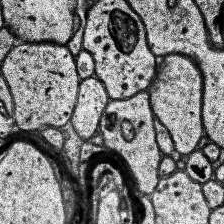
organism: Human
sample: Temporal Lobe